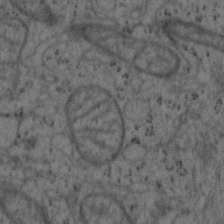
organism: Human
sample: HeLa cells